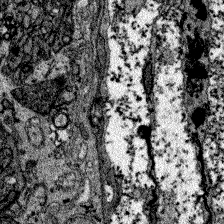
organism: Zebrafish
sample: Larval olfactory bulb